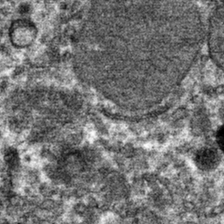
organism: Mouse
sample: Mouse hepatocytes